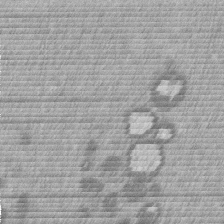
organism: Mouse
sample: Dividing mouse embryo 1 cell stage